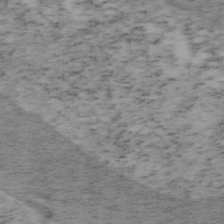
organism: Mouse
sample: OT-I killer T cells with ID8 ovarian cancer cells